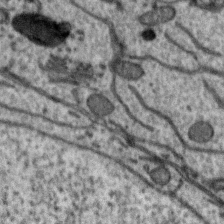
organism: Zebra finch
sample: Brain